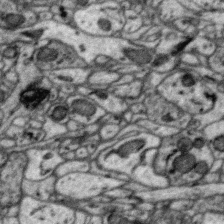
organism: Zebra finch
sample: Brain